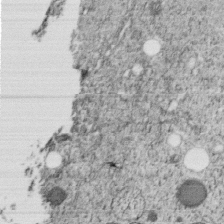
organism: C. elegans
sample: C. elegans embryo early stage